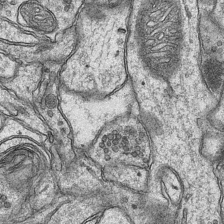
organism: Mouse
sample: CA1 Hippocampus